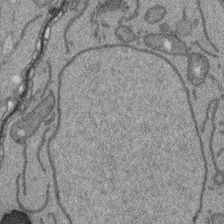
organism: Arabidopsis thaliana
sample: Root tip